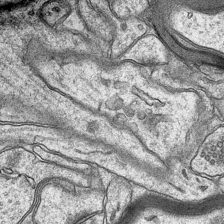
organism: Mouse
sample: CA1 Hippocampus